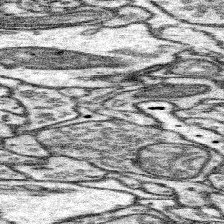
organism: Mouse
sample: Somatosensory cortex neuropil